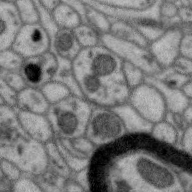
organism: Zebra finch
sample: Brain